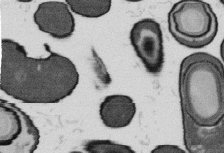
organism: B. subtilis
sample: Bacterial spore